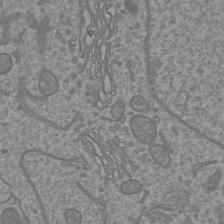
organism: Mouse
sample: Cortical neurons